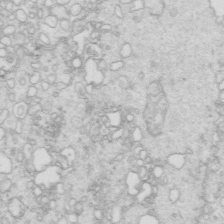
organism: Mouse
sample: Multiciliated cells